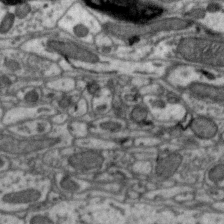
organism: Zebra finch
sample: Brain